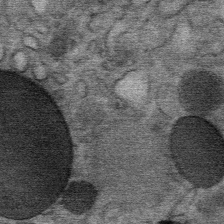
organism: Mouse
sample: Mouse Salivary gland